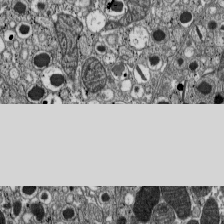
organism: C57BL Mouse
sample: Pancreatic islet